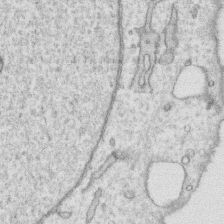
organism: Human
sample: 1205lu cells